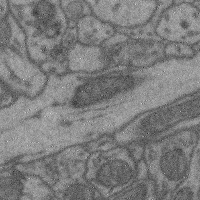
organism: Mouse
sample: Cerebral cortex